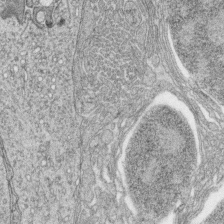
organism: Zebrafish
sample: synaptic ribbons in rod cells and cone cells